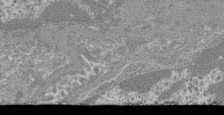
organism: Mouse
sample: Glomerulus